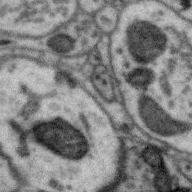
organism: Zebra finch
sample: Brain